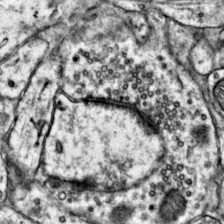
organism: Mouse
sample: Primary visual cortex